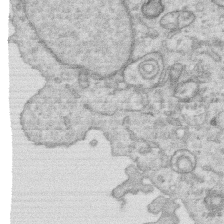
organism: Human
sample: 1205lu cells